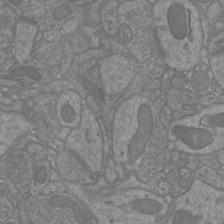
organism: Mouse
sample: Cortical neurons